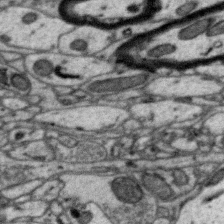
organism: Zebra finch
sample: Brain